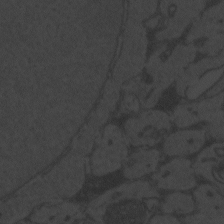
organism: Zebrafish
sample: Macrophage infected with Toxoplasma gondii